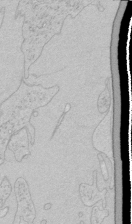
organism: Human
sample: Mitochondria in HCT116 cells